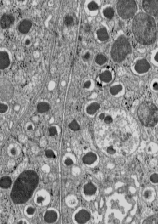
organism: C57BL Mouse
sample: Pancreatic islet